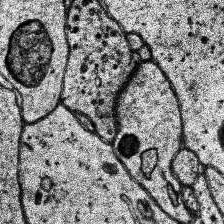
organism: Human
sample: Temporal Lobe